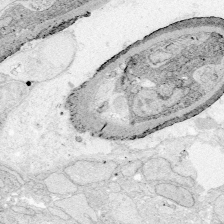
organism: Zebrafish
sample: Whole-Brain